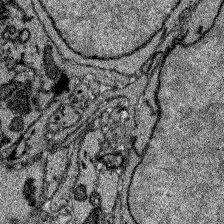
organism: Zebrafish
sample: Larval olfactory bulb